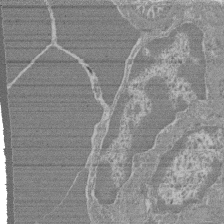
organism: Mouse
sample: Glomerulus